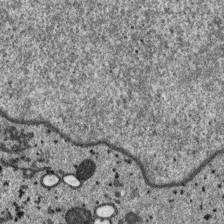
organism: Human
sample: Lung epithelial cells infected with SARS-CoV-2